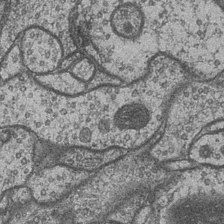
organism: Drosophila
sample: Optic medulla